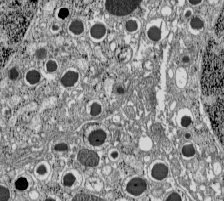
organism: C57BL Mouse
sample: Pancreatic islet